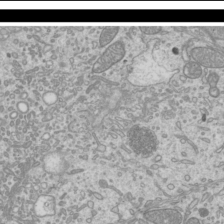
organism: Mouse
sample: Cilia; mouse epididymis